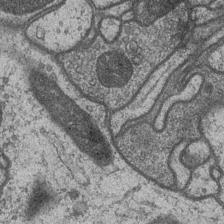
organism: Drosophila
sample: Optic medulla